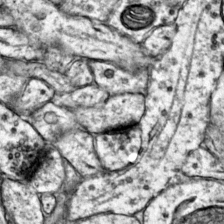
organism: Mouse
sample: Primary visual cortex